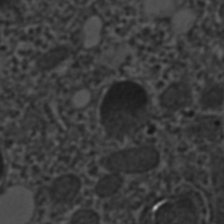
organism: C. elegans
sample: C. elegans embryo